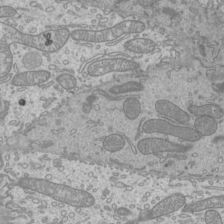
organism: Mouse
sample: Cilia; mouse epididymis